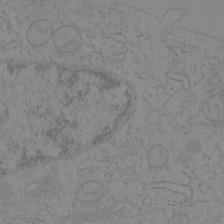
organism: Human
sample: HeLa cells